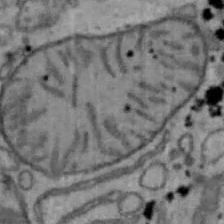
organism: Mouse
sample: Liver